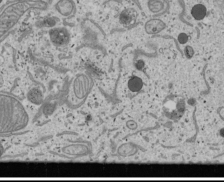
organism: Human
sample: Mitochondria in U2OS cells